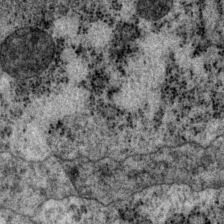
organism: P. pacificus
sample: Pharynx